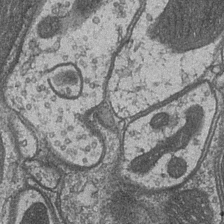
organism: Drosophila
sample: Optic medulla